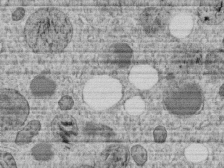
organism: C. elegans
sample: C. elegans embryo early stage